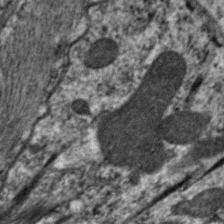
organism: C. elegans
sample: Pharynx